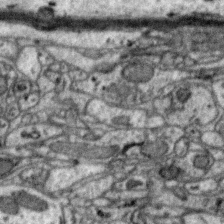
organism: Zebra finch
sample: Brain